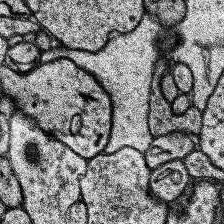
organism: Human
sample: Temporal Lobe